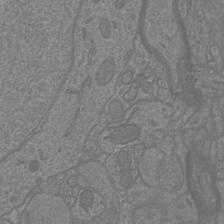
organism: Mouse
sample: Cortical neurons